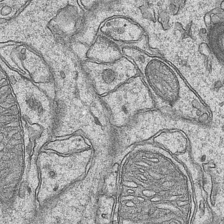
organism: Mouse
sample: CA1 Hippocampus